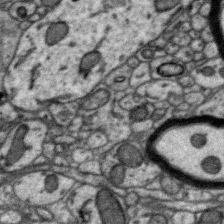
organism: Zebra finch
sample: Brain